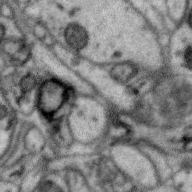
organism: Zebra finch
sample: Brain